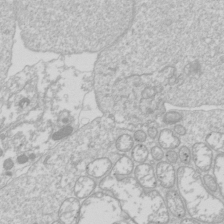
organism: Drosophila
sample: Cell division; meiosis; drosophila spermatocytes